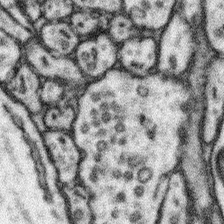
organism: Mouse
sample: Somatosensory cortex neuropil